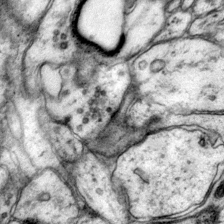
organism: Mouse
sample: Primary visual cortex